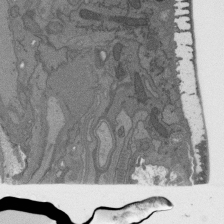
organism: C. elegans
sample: AFD neurons C. elegans